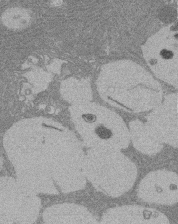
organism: Rat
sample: Salivary granule